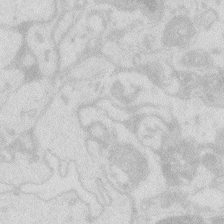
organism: Zebrafish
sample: Macrophage